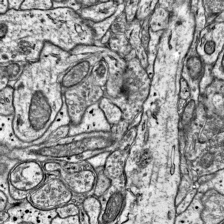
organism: Mouse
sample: Visual Cortex